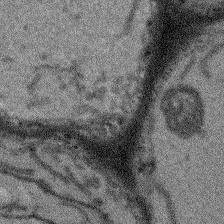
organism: Arabidopsis thaliana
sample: Root tip